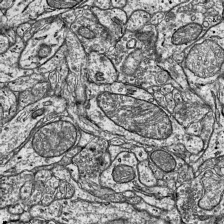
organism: Mouse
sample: Visual Cortex